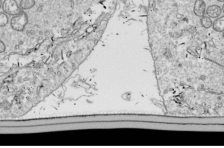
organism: Drosophila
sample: Cell division; meiosis; drosophila spermatocytes